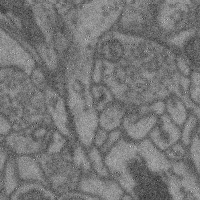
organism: Mouse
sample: Cerebral cortex